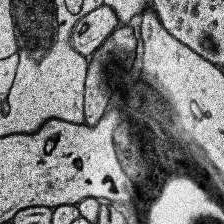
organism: Human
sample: Temporal Lobe